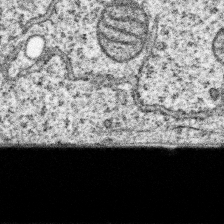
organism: Human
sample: HeLa cells